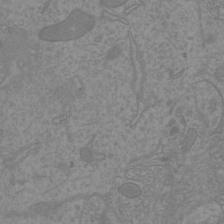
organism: Mouse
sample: Cortical neurons